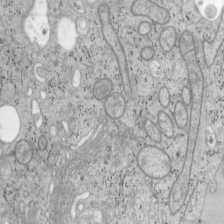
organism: Mouse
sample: OT-I killer T cells with ID8 ovarian cancer cells